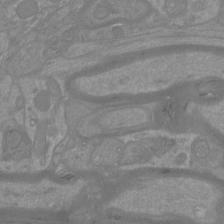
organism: Mouse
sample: Cortical neurons